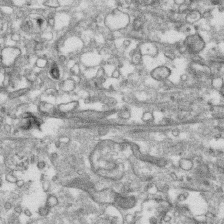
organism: Human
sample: CRL-1474